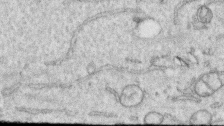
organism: Human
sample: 1205lu cells